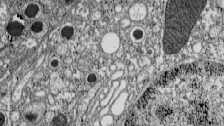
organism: C57BL Mouse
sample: Pancreatic islet